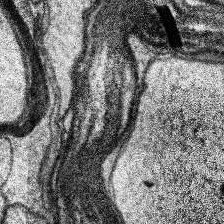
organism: Human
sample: Temporal Lobe